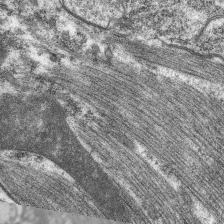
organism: C. elegans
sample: Pharynx